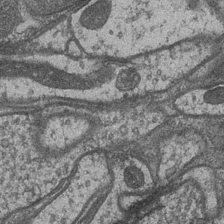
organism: Drosophila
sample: Optic medulla